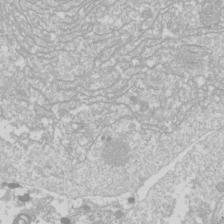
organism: Drosophila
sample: Cell division; meiosis; drosophila spermatocytes